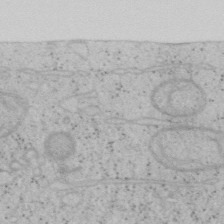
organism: Human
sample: HeLa cells